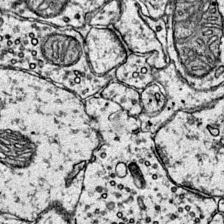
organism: Mouse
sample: Primary visual cortex